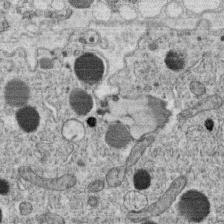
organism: C. elegans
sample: C. elegans oocyte; sperm cells